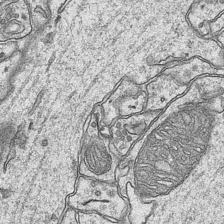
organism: Mouse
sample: CA1 Hippocampus